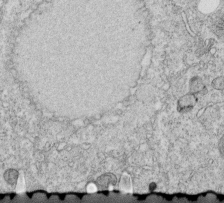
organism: C. elegans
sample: C. elegans embryo early stage